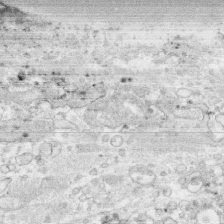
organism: Human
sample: CRL-1474